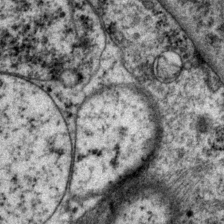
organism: P. pacificus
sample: Pharynx